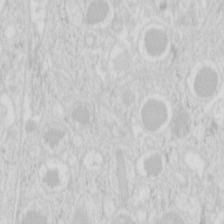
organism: Mouse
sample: Pancreas